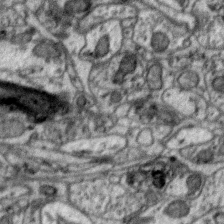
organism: Zebra finch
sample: Brain